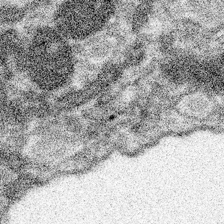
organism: Spongilla lacustris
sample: Neuroid cell